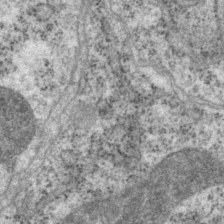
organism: P. pacificus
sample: Pharynx